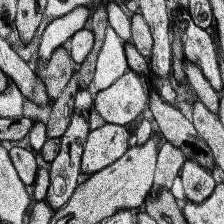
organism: Human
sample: Temporal Lobe